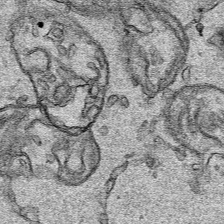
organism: Human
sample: Mitochondria in HCT116 cells